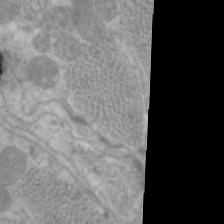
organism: C. elegans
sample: Pharynx